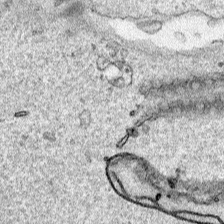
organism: Human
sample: Mitochondria in HCT116 cells